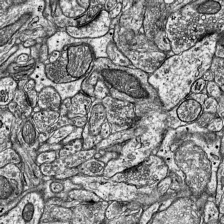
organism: Mouse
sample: Visual Cortex